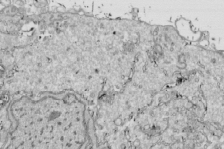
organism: Drosophila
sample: Cell division; meiosis; drosophila spermatocytes